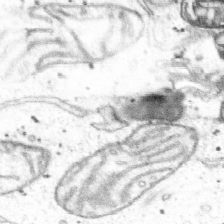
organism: Human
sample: HeLa cells